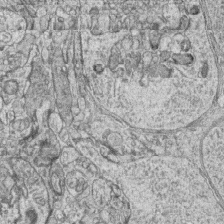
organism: Zebrafish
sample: synaptic ribbons in rod cells and cone cells